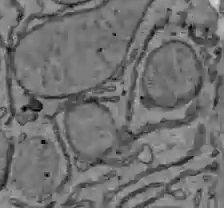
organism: C57BL Mouse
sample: Liver